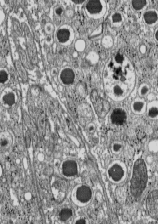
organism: C57BL Mouse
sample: Pancreatic islet